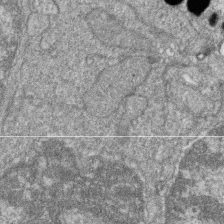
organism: Zebrafish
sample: Cilia; retinal pigment epithelium